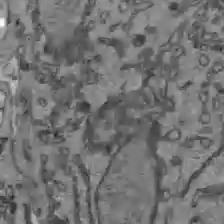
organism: C57BL Mouse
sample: Liver